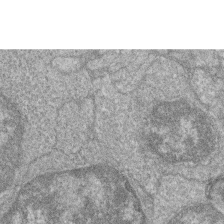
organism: Zebrafish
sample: Cilia; retinal pigment epithelium